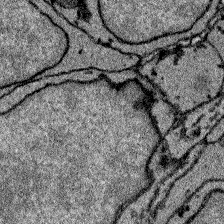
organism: Zebrafish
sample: Larval olfactory bulb